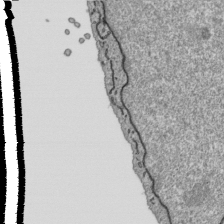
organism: Human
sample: Mitochondria in HCT116 cells